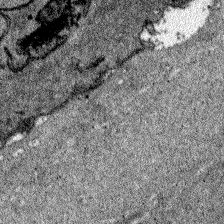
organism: Zebrafish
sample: Larval olfactory bulb